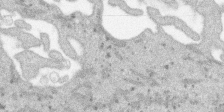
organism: Human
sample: Lung epithelial cells infected with SARS-CoV-2